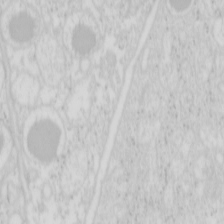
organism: Mouse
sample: Pancreas